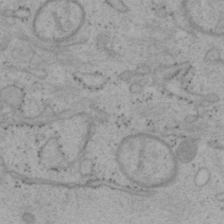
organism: Human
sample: HeLa cells